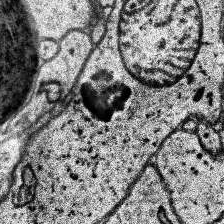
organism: Human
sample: Temporal Lobe